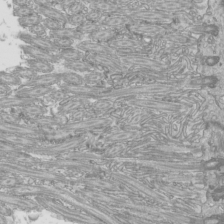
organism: Mouse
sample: Cilia; mouse epididymis